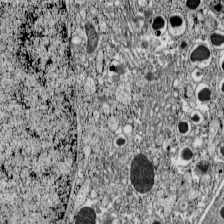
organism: C57BL Mouse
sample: Pancreatic islet